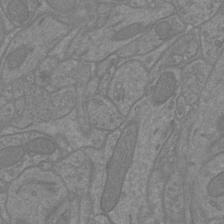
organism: Mouse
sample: Cortical neurons